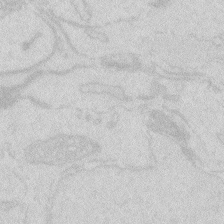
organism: Zebrafish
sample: Macrophage